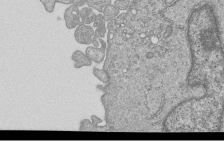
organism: Human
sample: MDA-MB-231 cells